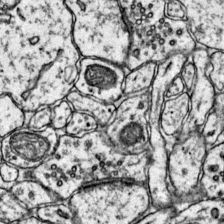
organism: Mouse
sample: Primary visual cortex